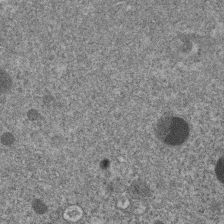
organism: C. elegans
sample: C. elegans embryo early stage